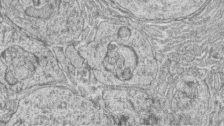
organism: Zebrafish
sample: synaptic ribbons in rod cells and cone cells